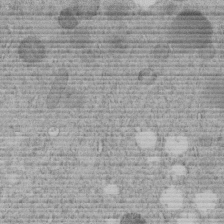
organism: C. elegans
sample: C. elegans embryo early stage